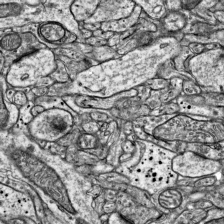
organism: Mouse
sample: Visual Cortex